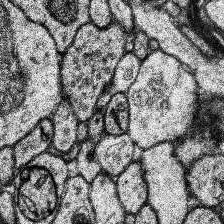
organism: Human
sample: Temporal Lobe